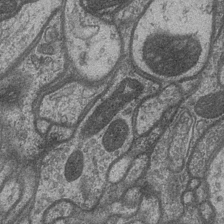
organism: Drosophila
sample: Optic medulla